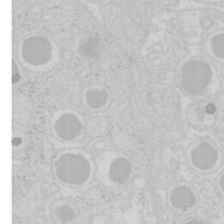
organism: Mouse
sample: Pancreas